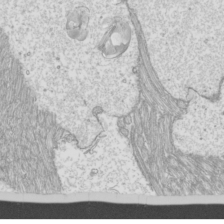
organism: Mouse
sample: Cilia; mouse epididymis